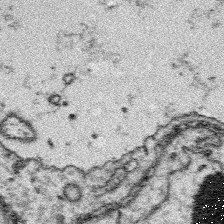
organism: Platynereis dumerilii